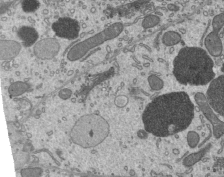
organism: Mouse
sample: Mouse epididymis efferent ductule cilia